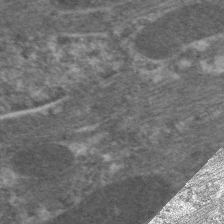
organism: C. elegans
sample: Pharynx